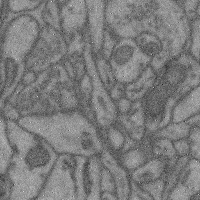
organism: Mouse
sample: Cerebral cortex